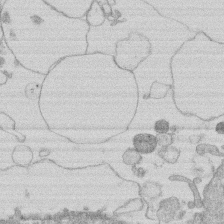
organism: Human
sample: Macrophage cells